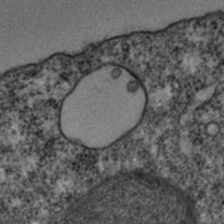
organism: C. elegans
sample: C. elegans embryo